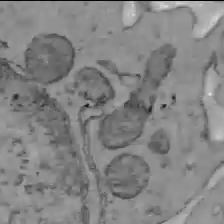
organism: C57BL Mouse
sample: Liver